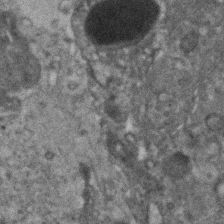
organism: Human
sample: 1205lu cells